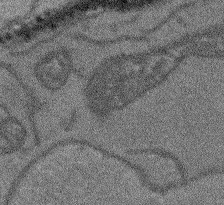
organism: Arabidopsis thaliana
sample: Root tip